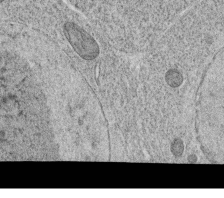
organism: C. elegans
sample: C. elegans oocyte; sperm cells